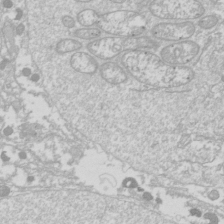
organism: Drosophila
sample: Cell division; meiosis; drosophila spermatocytes